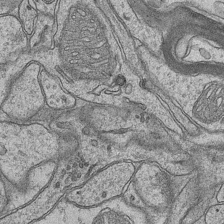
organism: Mouse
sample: CA1 Hippocampus